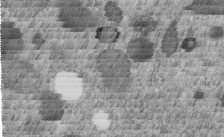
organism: C. elegans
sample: C. elegans embryo early stage